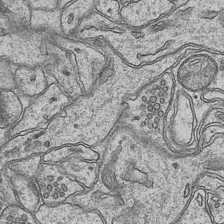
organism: Mouse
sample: CA1 Hippocampus